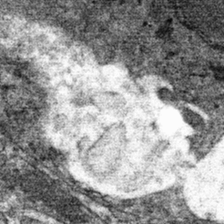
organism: Mouse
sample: Mouse hepatocytes